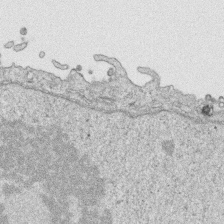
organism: Human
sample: HeLa cell HIV synapse